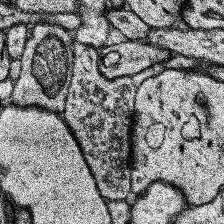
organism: Human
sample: Temporal Lobe